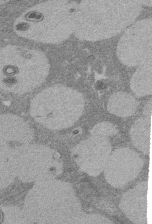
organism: Rat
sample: Salivary granule